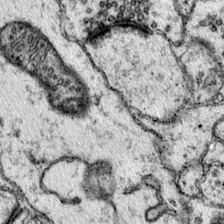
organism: Mouse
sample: Primary visual cortex